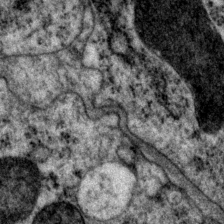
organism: P. pacificus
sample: Pharynx